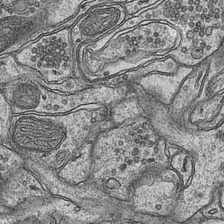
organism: Mouse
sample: CA1 Hippocampus